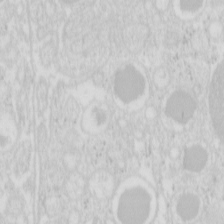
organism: Mouse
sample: Pancreas